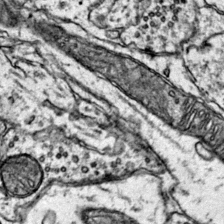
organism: Mouse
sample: Primary visual cortex